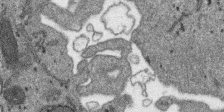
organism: Human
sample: Lung epithelial cells infected with SARS-CoV-2